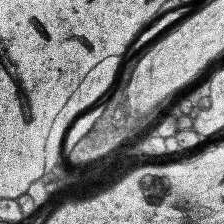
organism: Human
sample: Temporal Lobe